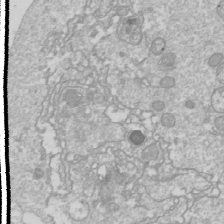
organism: Drosophila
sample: Cell division; meiosis; drosophila spermatocytes